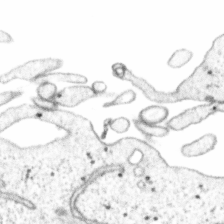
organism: Human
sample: HeLa cells